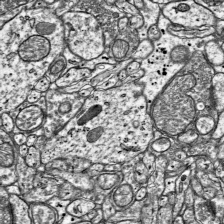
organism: Mouse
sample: Visual Cortex